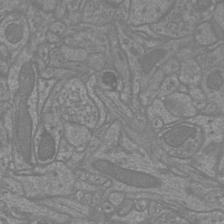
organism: Mouse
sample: Cortical neurons